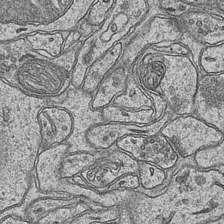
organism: Mouse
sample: CA1 Hippocampus